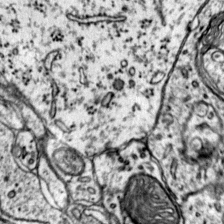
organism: Mouse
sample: Primary visual cortex